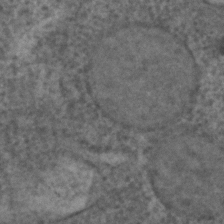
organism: C. elegans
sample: C. elegans embryo